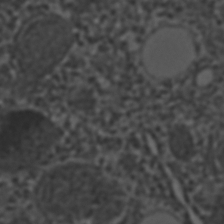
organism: C. elegans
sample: C. elegans embryo